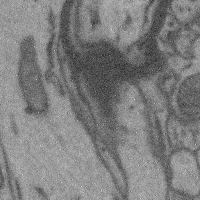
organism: Mouse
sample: Cerebral cortex